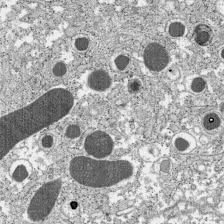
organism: C57BL Mouse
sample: Pancreatic islet